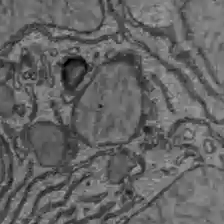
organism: C57BL Mouse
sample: Liver